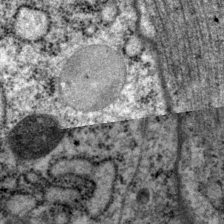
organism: P. pacificus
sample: Pharynx